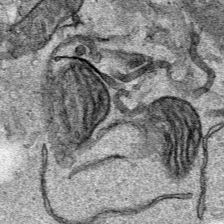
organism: Human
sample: Mitochondria in HCT116 cells